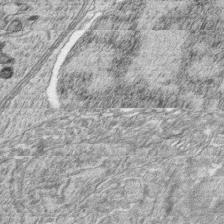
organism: Zebrafish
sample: synaptic ribbons in rod cells and cone cells